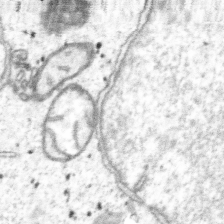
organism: Human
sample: HeLa cells